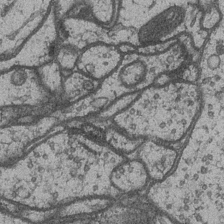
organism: Drosophila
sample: Optic medulla